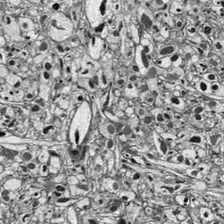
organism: Drosophila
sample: Optic lobe